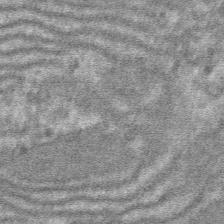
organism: Mouse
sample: Mouse hepatocytes